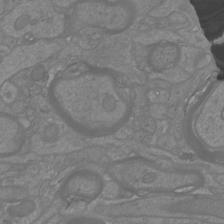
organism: Mouse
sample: Cortical neurons